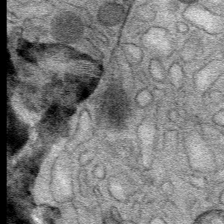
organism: Mouse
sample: Mouse Salivary gland